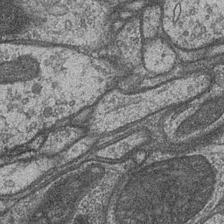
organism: Drosophila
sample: Optic medulla